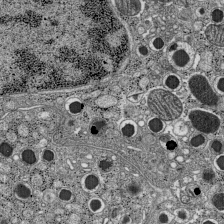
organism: C57BL Mouse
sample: Pancreatic islet